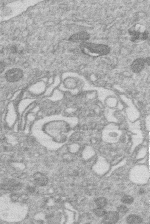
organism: Human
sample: Macrophage cells